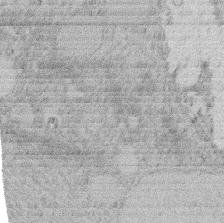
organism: Rat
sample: Salivary granule